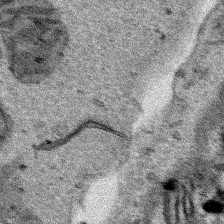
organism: Human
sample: Mitochondria in HCT116 cells